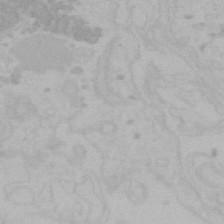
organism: Mouse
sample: Choroid plexus